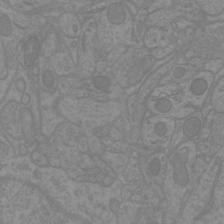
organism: Mouse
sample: Cortical neurons